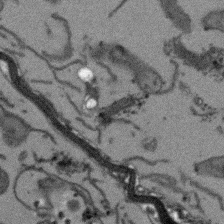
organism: Arabidopsis thaliana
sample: Root tip